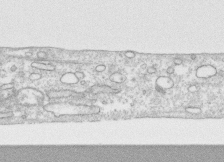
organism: Human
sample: CRL-1474